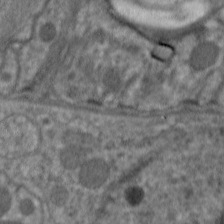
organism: C. elegans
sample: Pharynx